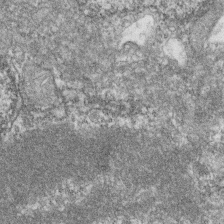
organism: Zebrafish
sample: Cilia; retinal pigment epithelium